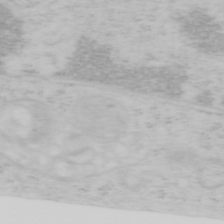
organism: Mouse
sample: OT-I killer T cells with ID8 ovarian cancer cells